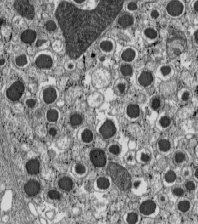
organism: C57BL Mouse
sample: Pancreatic islet